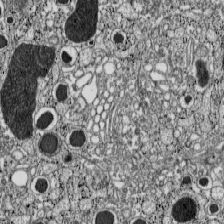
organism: C57BL Mouse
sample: Pancreatic islet